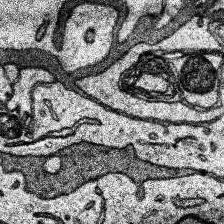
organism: Human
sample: Temporal Lobe